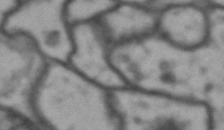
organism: Drosophila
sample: Brain